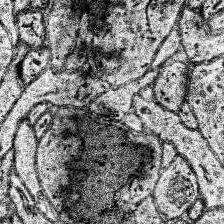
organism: Human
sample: Temporal Lobe